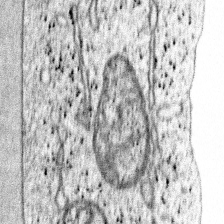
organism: Human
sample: HeLa cells